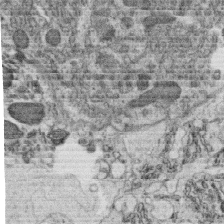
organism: C. elegans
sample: C. elegans oocyte; sperm cells